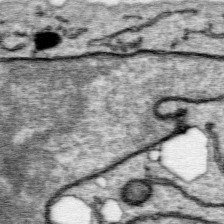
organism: Human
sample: HeLa cells